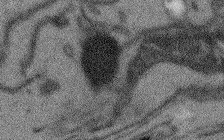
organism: Arabidopsis thaliana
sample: Root tip